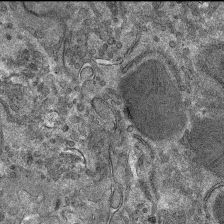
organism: Mouse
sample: Mouse hepatocytes